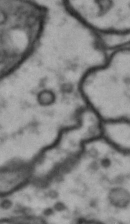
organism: Drosophila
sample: Brain